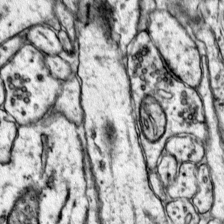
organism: Mouse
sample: Primary visual cortex